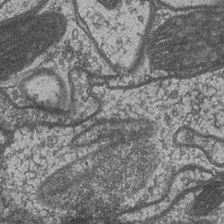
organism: Drosophila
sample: Optic medulla